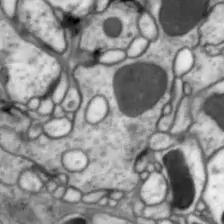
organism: Drosophila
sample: Optic lobe